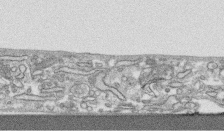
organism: Human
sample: CRL-1474